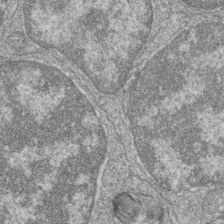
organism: Zebrafish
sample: Cilia; retinal pigment epithelium